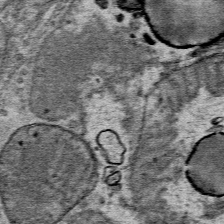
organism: Mouse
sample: Mouse Salivary gland